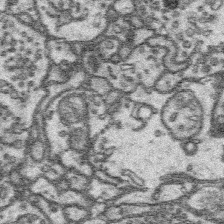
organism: Platynereis dumerilii